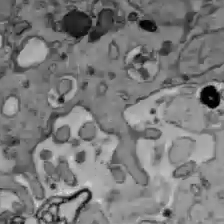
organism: C57BL Mouse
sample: Liver